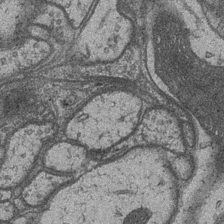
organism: Drosophila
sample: Optic medulla